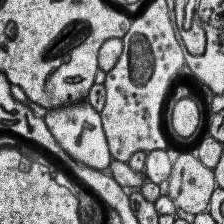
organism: Human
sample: Temporal Lobe